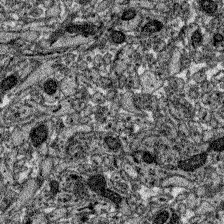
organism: Zebrafish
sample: Larval olfactory bulb